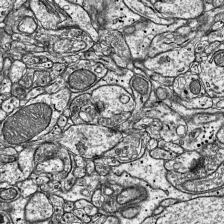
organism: Mouse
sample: Visual Cortex